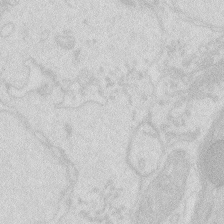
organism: Zebrafish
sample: Macrophage